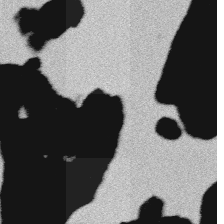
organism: Platynereis dumerilii